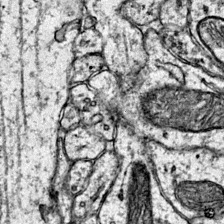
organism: Mouse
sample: Primary visual cortex